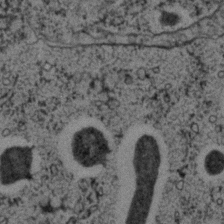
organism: C. elegans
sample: C. elegans embryo